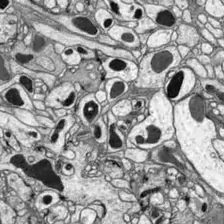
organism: Drosophila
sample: Optic lobe